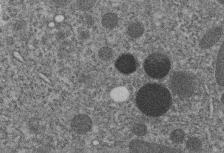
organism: C. elegans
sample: C. elegans embryo early stage